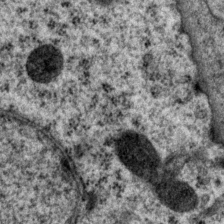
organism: P. pacificus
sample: Pharynx